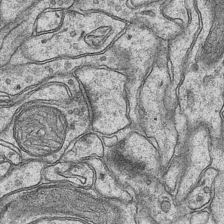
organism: Mouse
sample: CA1 Hippocampus